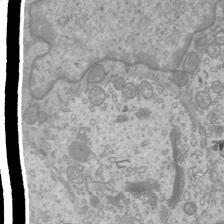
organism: Mouse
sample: Cilia; mouse epididymis